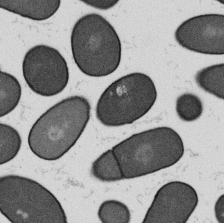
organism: B. subtilis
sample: Bacterial spore